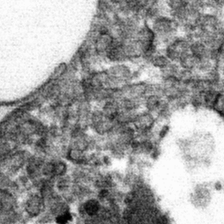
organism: Mouse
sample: Mouse hepatocytes